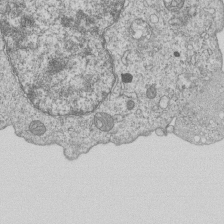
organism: Human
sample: MDA-MB-231 cells